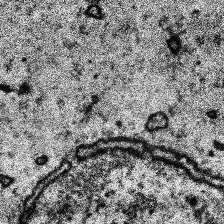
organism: Human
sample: Temporal Lobe